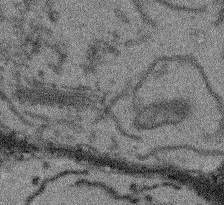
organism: Arabidopsis thaliana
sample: Root tip